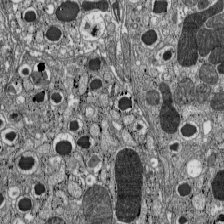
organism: C57BL Mouse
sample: Pancreatic islet